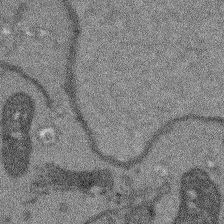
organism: Arabidopsis thaliana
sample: Root tip